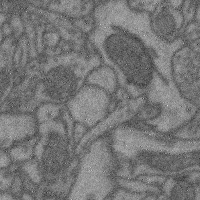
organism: Mouse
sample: Cerebral cortex